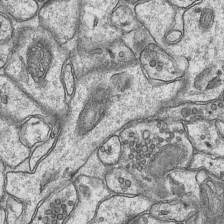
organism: Mouse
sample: CA1 Hippocampus